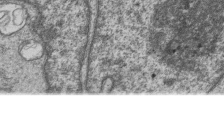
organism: Human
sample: MDA-MB-231 cells